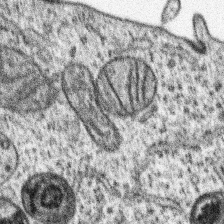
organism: Human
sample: HeLa cells